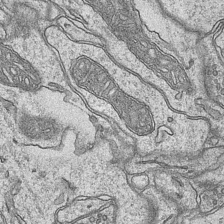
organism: Mouse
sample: CA1 Hippocampus